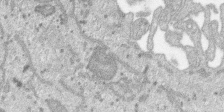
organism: Human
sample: Lung epithelial cells infected with SARS-CoV-2